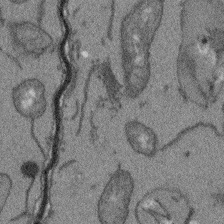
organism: Arabidopsis thaliana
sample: Root tip